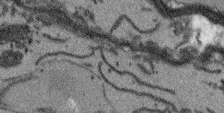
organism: Arabidopsis thaliana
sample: Root tip